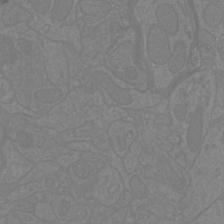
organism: Mouse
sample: Cortical neurons